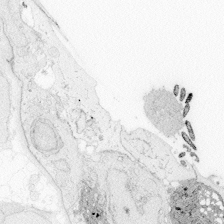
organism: Zebrafish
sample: Whole-Brain